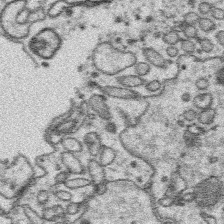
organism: Platynereis dumerilii